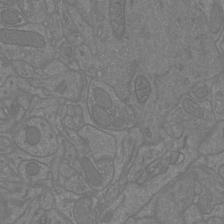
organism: Mouse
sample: Cortical neurons